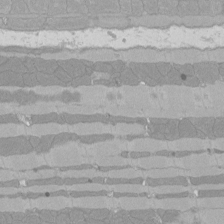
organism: Rat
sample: Left ventricle